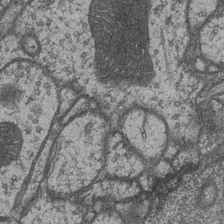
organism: Drosophila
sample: Optic medulla